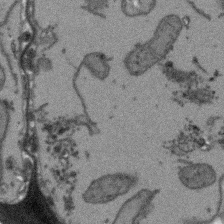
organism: Arabidopsis thaliana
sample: Root tip